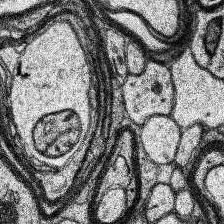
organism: Human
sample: Temporal Lobe